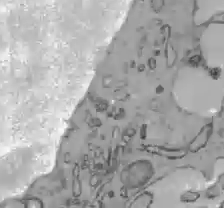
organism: C57BL Mouse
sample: Liver